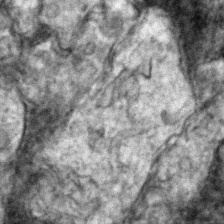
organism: Zebrafish